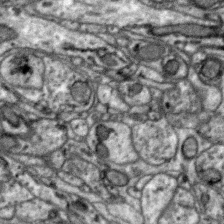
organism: Zebra finch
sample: Brain